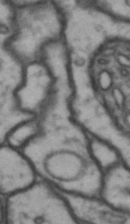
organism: Drosophila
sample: Brain